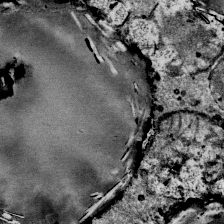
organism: Mouse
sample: Mouse Salivary gland